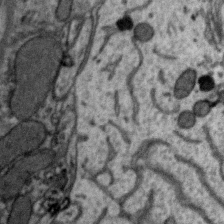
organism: Zebra finch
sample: Brain